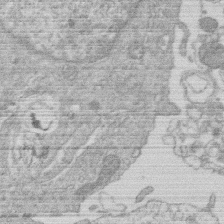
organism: Human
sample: Macrophage cells